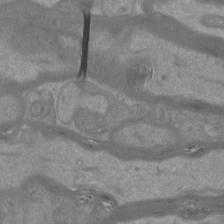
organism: Mouse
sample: Cortical neurons